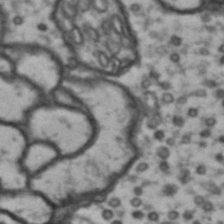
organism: Drosophila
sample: Brain